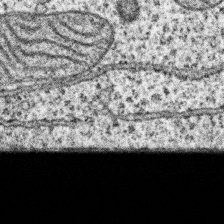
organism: Human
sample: HeLa cells